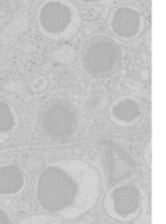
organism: Mouse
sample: Pancreas